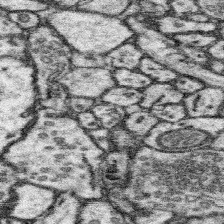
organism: Mouse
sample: Somatosensory cortex neuropil